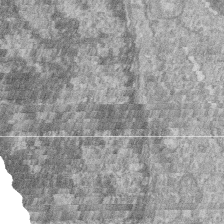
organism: Zebrafish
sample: Cilia; retinal pigment epithelium